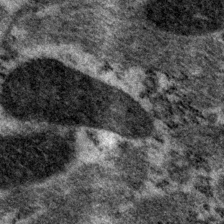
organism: P. pacificus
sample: Pharynx